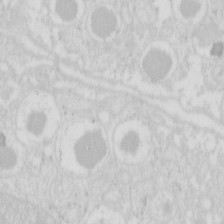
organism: Mouse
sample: Pancreas